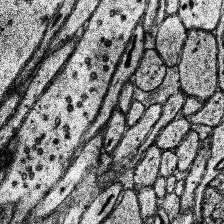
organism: Human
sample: Temporal Lobe